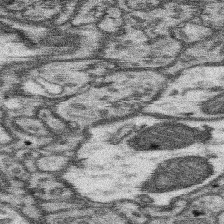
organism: Mouse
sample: Somatosensory cortex neuropil